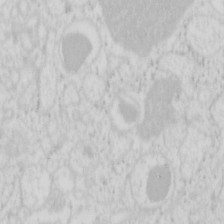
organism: Mouse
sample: Pancreas